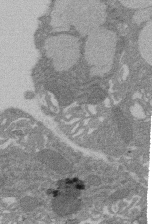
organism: Rat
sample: Salivary granule